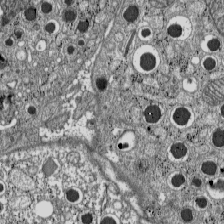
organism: C57BL Mouse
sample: Pancreatic islet